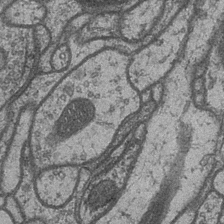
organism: Drosophila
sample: Optic medulla